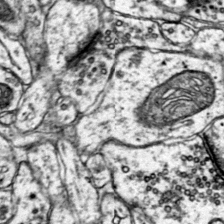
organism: Mouse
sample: Primary visual cortex